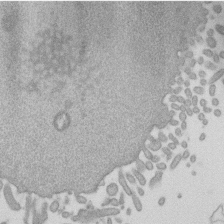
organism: Mouse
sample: Dividing mouse embryo 1 cell stage